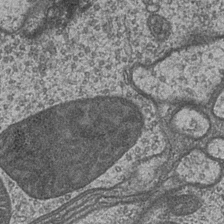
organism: Drosophila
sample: Optic medulla